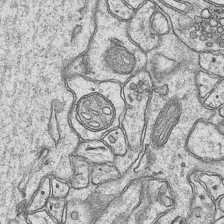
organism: Mouse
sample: CA1 Hippocampus